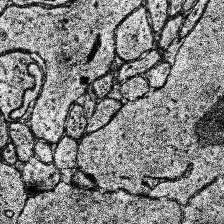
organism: Human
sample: Temporal Lobe